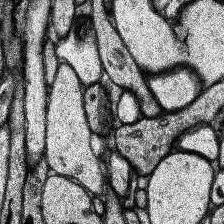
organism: Human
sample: Temporal Lobe